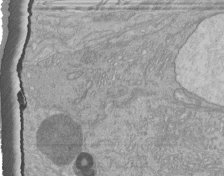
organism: Human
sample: Retinal organoid Rod and Cone cells